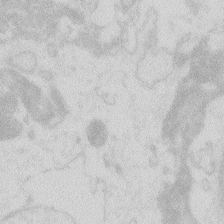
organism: Zebrafish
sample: Macrophage